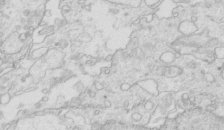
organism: Mouse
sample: Multiciliated cells